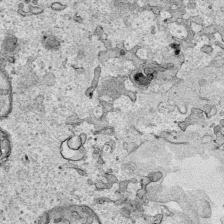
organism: Human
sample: Mitochondria in HCT116 cells